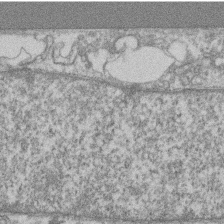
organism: Mouse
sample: T cell stromal cell synapse